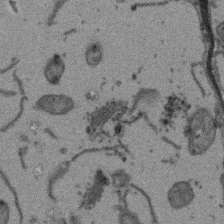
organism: Arabidopsis thaliana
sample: Root tip